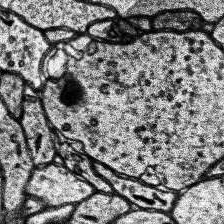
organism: Human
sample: Temporal Lobe